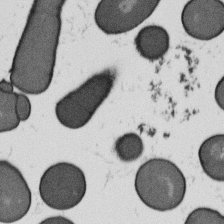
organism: B. subtilis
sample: Bacterial spore